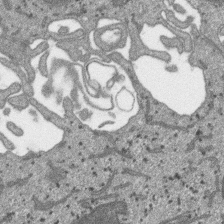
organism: Human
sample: Lung epithelial cells infected with SARS-CoV-2